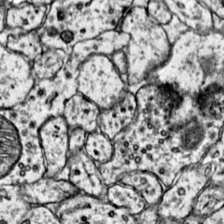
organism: Mouse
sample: Primary visual cortex